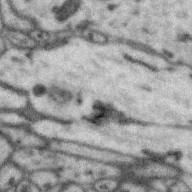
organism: Zebra finch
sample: Brain